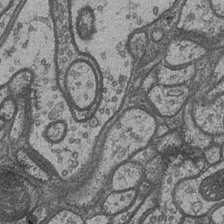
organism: Drosophila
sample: Optic medulla